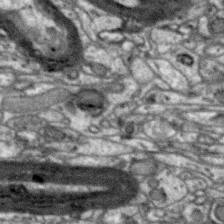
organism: Zebra finch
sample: Brain